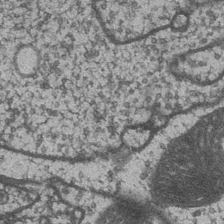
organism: Drosophila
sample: Optic medulla